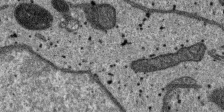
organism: Human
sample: Lung epithelial cells, uninfected (mock) control